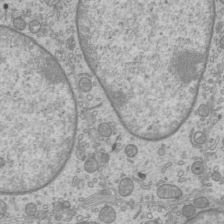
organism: Mouse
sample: Cilia; mouse epididymis